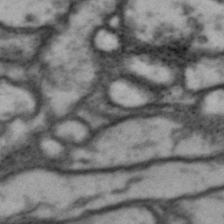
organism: Drosophila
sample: Brain